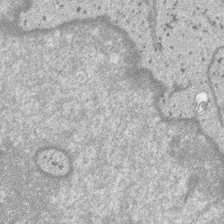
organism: Human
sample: Lung epithelial cells infected with SARS-CoV-2